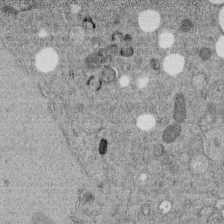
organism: C. elegans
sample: C. elegans embryo early stage